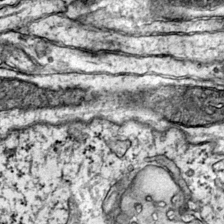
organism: Mouse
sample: Primary visual cortex